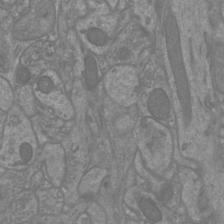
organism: Mouse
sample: Cortical neurons